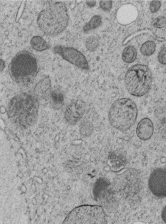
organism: C. elegans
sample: C. elegans embryo early stage